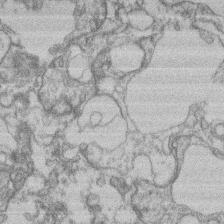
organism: Mouse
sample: T cell stromal cell synapse